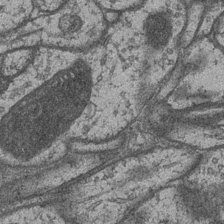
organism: Drosophila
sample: Optic medulla